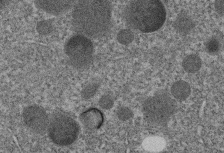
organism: C. elegans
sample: C. elegans embryo early stage